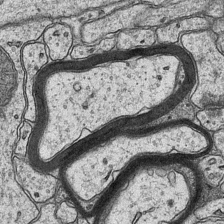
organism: Mouse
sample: CA1 Hippocampus